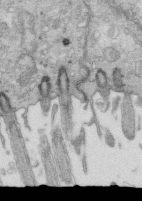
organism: Mouse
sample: Multiciliated cells